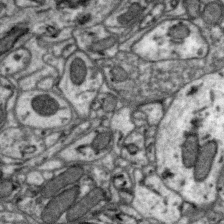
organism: Zebra finch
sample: Brain